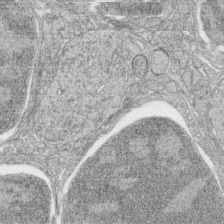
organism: Zebrafish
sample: synaptic ribbons in rod cells and cone cells